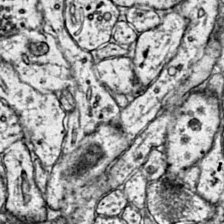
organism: Mouse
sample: Primary visual cortex